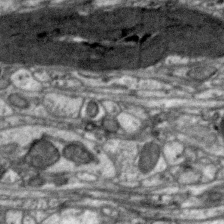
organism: Zebra finch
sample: Brain